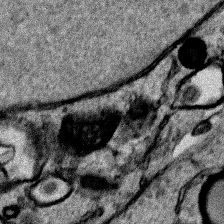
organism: Human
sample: Mitochondria in HCT116 cells